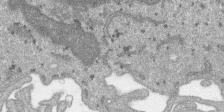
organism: Human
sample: Lung epithelial cells infected with SARS-CoV-2